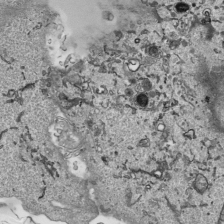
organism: Human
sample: Mitochondria in HCT116 cells